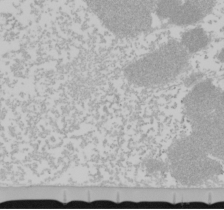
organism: Mouse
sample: Cancer cell death in ED-1 cells